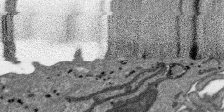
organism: Human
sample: Lung epithelial cells, uninfected (mock) control